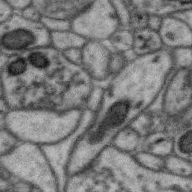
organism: Zebra finch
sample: Brain